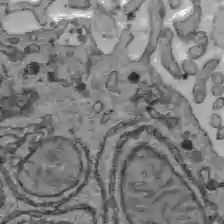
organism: C57BL Mouse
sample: Liver